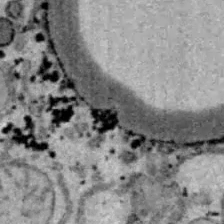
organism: Mouse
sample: Liver from an obese (ob/ob) mouse